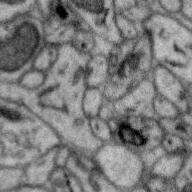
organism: Zebra finch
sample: Brain